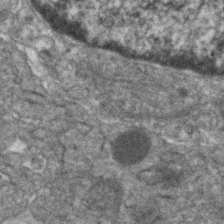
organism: Human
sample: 1205lu cells